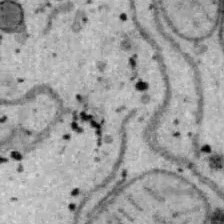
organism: Mouse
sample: Liver from an obese (ob/ob) mouse